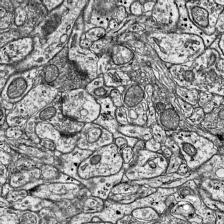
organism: Mouse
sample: Visual Cortex